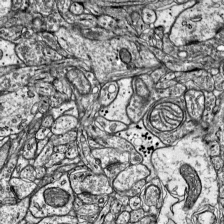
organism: Mouse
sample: Visual Cortex